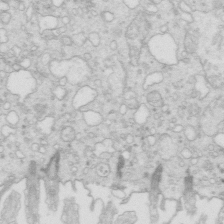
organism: Mouse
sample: Multiciliated cells